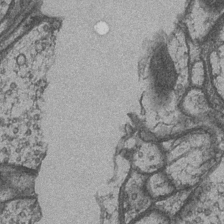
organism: Drosophila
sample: Optic medulla